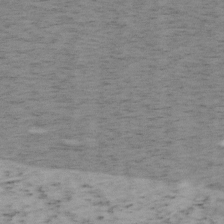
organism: Mouse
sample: OT-I killer T cells with ID8 ovarian cancer cells